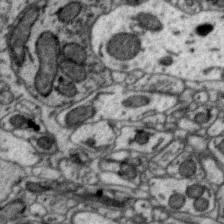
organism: Zebra finch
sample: Brain